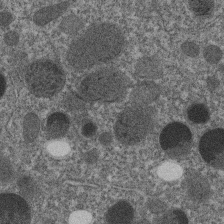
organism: C. elegans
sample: C. elegans embryo early stage